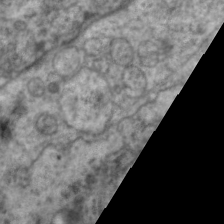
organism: C. elegans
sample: Pharynx